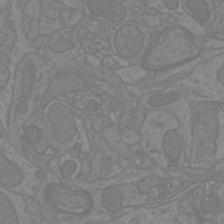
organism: Mouse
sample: Cortical neurons